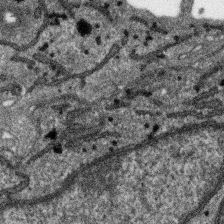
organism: Human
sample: Lung epithelial cells infected with SARS-CoV-2